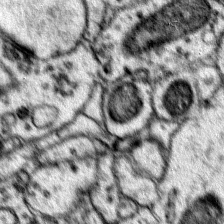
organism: Mouse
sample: Primary visual cortex